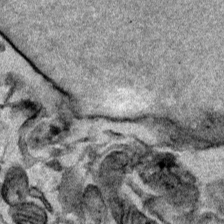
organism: Mouse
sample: Cancer cell death in ED-1 cells